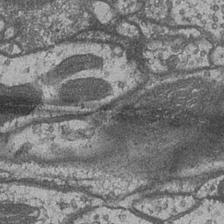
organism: Drosophila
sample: Optic medulla